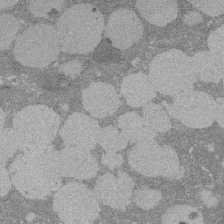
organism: Rat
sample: Salivary granule